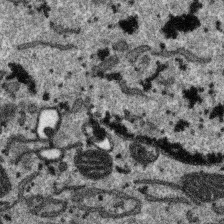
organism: Human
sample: Lung epithelial cells infected with SARS-CoV-2